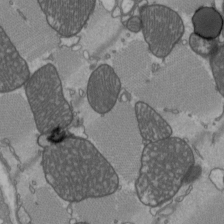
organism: C57BL Mouse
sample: Heart